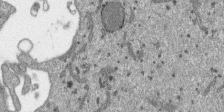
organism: Human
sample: Lung epithelial cells infected with SARS-CoV-2